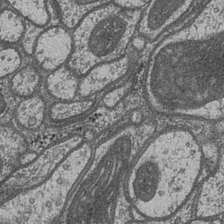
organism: Drosophila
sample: Optic medulla